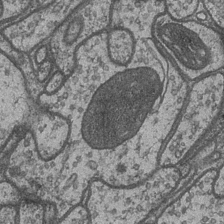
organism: Drosophila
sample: Optic medulla